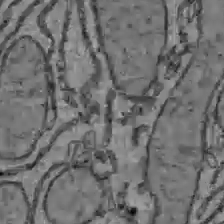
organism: C57BL Mouse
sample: Liver